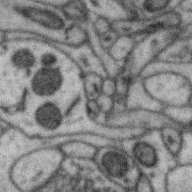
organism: Zebra finch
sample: Brain